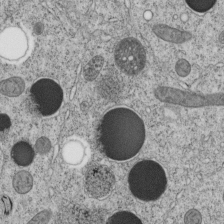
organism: C. elegans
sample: C. elegans embryo early stage